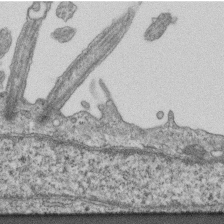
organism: Mouse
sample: Centriole in ependymal cells